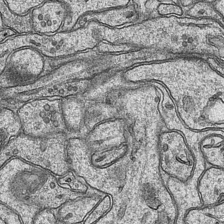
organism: Mouse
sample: CA1 Hippocampus